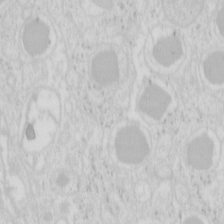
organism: Mouse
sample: Pancreas